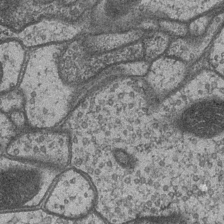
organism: Drosophila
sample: Optic medulla